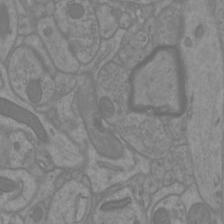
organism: Mouse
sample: Cortical neurons